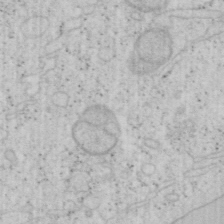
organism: Human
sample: HeLa cells